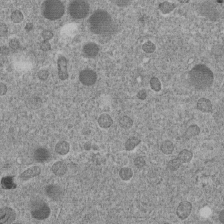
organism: C. elegans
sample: C. elegans embryo early stage